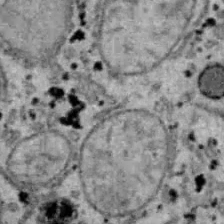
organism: Mouse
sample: Liver from an obese (ob/ob) mouse